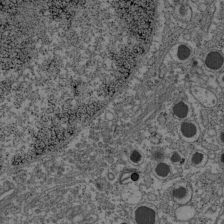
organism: C57BL Mouse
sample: Pancreatic islet